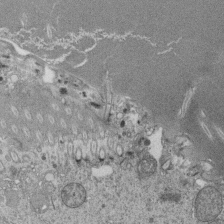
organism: Tetrahymena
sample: Cilia in tetrahymena